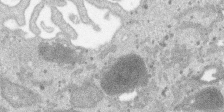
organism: Human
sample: Lung epithelial cells infected with SARS-CoV-2